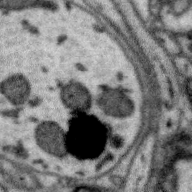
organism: Zebra finch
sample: Brain